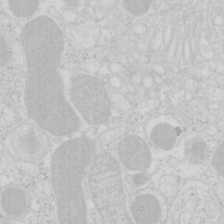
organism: Mouse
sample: Pancreas